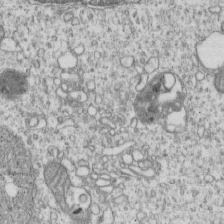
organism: Human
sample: MDA-MB-231 cells